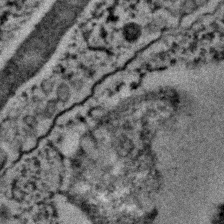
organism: C. elegans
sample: C. elegans embryo